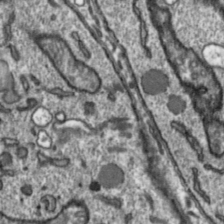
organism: Toxoplasma gondii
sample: Parasites in a vacuole inside a host cell